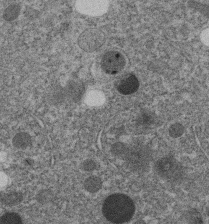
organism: C. elegans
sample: C. elegans embryo early stage